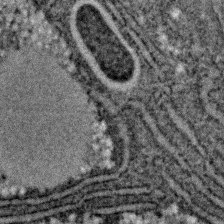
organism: C. elegans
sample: C. elegans embryo